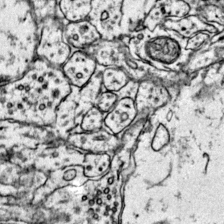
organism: Mouse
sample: Primary visual cortex